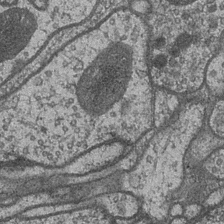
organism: Drosophila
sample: Optic medulla